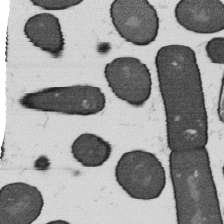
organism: B. subtilis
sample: Bacterial spore